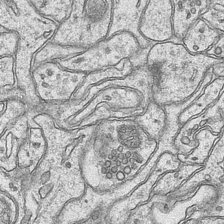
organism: Mouse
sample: CA1 Hippocampus